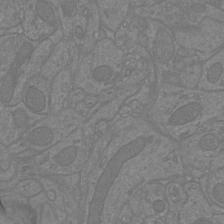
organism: Mouse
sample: Cortical neurons